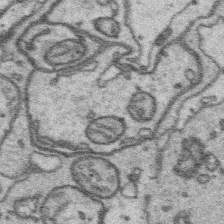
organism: Platynereis dumerilii